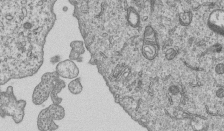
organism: Human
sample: MDA-MB-231 cells